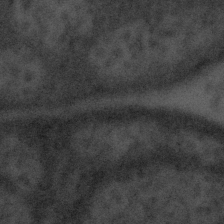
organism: Tuwongella immobilis